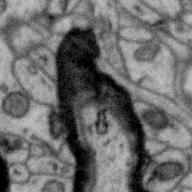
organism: Zebra finch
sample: Brain